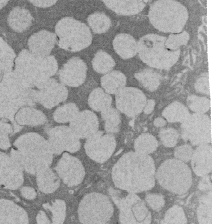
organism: Rat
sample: Salivary granule